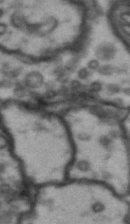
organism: Drosophila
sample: Brain